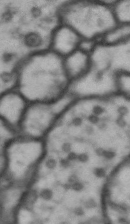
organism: Drosophila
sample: Brain